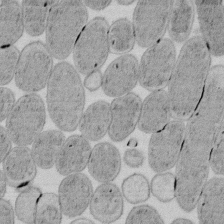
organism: E. coli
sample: Bacterial nucleoid